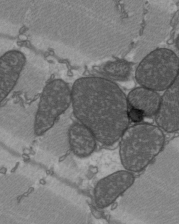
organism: C57BL Mouse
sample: Heart